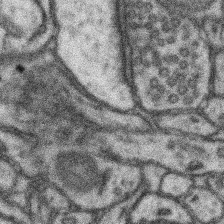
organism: Mouse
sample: Somatosensory cortex neuropil